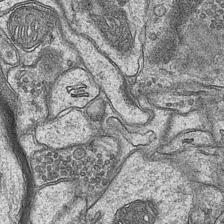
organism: Mouse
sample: CA1 Hippocampus